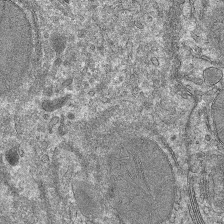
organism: Mouse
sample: Mouse hepatocytes